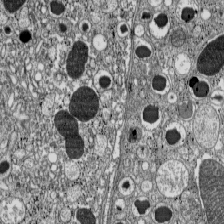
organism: C57BL Mouse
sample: Pancreatic islet